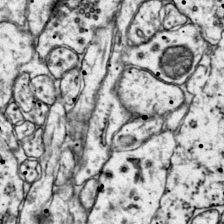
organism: Mouse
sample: Primary visual cortex